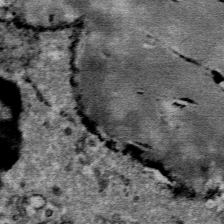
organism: Mouse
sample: Mouse Salivary gland